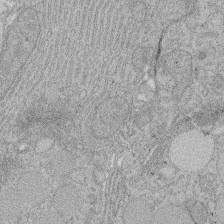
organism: Rat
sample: Salivary granule